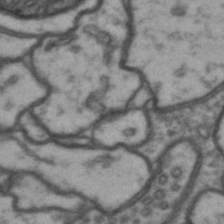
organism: Drosophila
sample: Brain